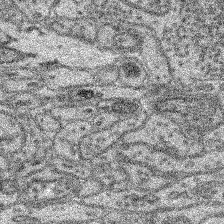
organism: Mouse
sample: Retina